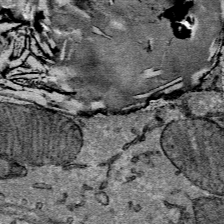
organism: Mouse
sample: Mouse Salivary gland